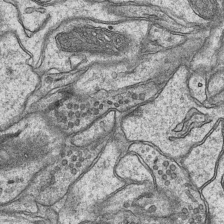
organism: Mouse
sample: CA1 Hippocampus